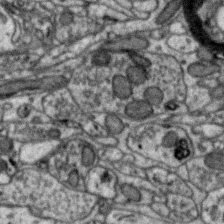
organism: Zebra finch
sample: Brain